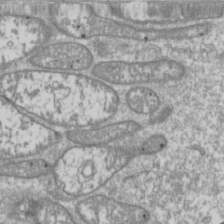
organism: Drosophila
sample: Cell division; meiosis; drosophila spermatocytes